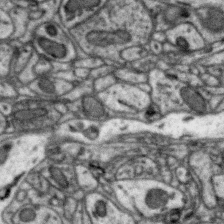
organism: Zebra finch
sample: Brain